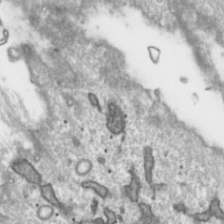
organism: Toxoplasma gondii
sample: Parasites in a vacuole inside a host cell